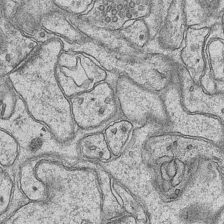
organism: Mouse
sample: CA1 Hippocampus